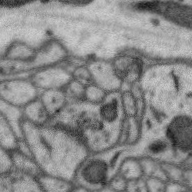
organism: Zebra finch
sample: Brain